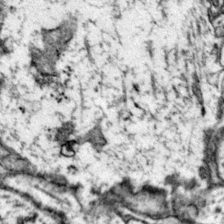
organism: Mouse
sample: Primary visual cortex